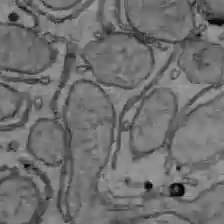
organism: C57BL Mouse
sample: Liver